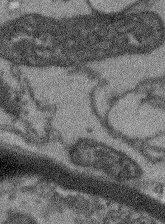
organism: Arabidopsis thaliana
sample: Root tip